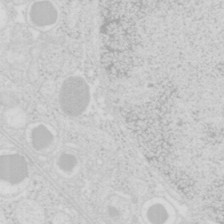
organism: Mouse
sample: Pancreas